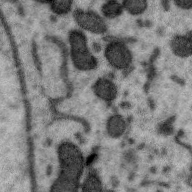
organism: Zebra finch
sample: Brain